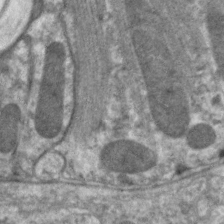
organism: C. elegans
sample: Pharynx